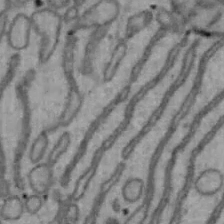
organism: Mouse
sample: Liver